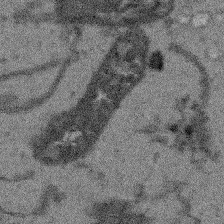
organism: Arabidopsis thaliana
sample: Root tip